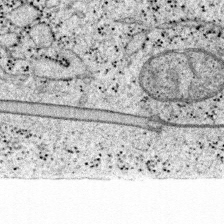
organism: Human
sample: HeLa cells